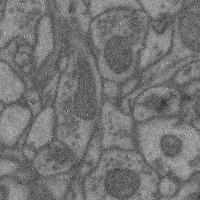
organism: Mouse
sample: Cerebral cortex